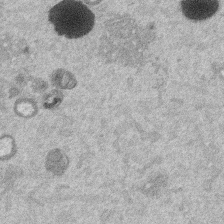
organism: Mouse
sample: Dividing mouse embryo 1 cell stage